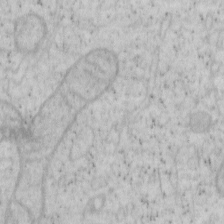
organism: Human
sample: HeLa cells